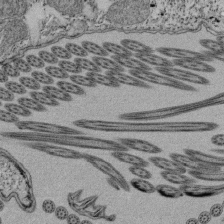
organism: Tetrahymena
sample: Cilia in tetrahymena